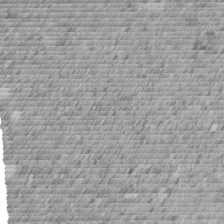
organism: C. elegans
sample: C. elegans embryo early stage